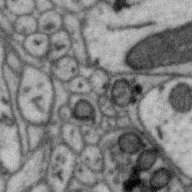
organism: Zebra finch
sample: Brain